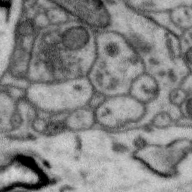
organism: Zebra finch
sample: Brain